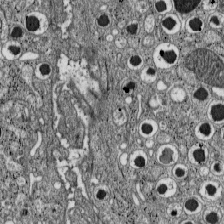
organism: C57BL Mouse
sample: Pancreatic islet